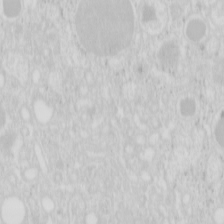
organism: Mouse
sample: Pancreas